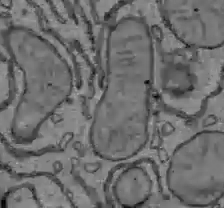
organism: C57BL Mouse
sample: Liver